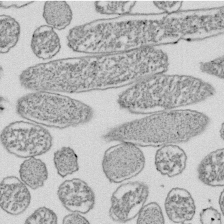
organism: E. coli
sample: Bacterial nucleoid